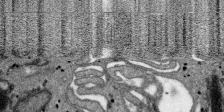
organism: Human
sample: Lung epithelial cells, uninfected (mock) control